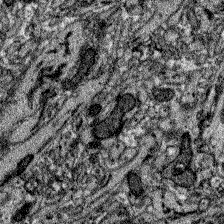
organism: Zebrafish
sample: Larval olfactory bulb